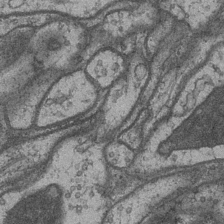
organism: Drosophila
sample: Optic medulla